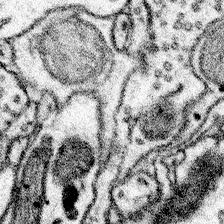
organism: Mouse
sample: Somatosensory cortex neuropil